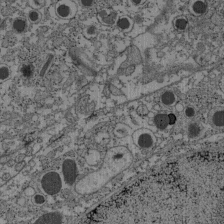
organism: C57BL Mouse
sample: Pancreatic islet